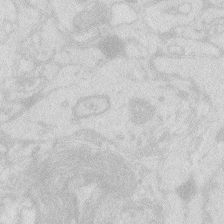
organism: Zebrafish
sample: Macrophage